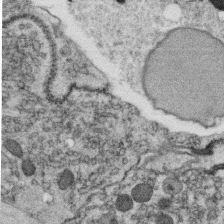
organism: C. elegans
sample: C. elegans oocyte; sperm cells